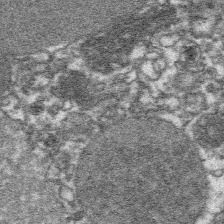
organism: Platynereis dumerilii